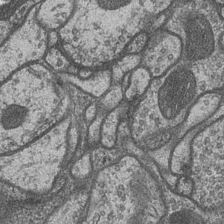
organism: Drosophila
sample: Optic medulla